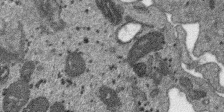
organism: Human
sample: Lung epithelial cells infected with SARS-CoV-2